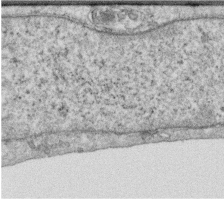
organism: Human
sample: Centriole in RPE cells